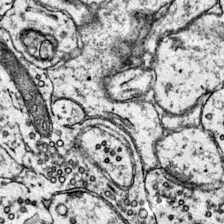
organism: Mouse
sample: Primary visual cortex